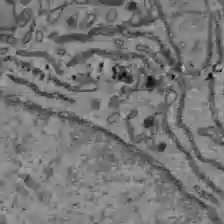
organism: C57BL Mouse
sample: Liver